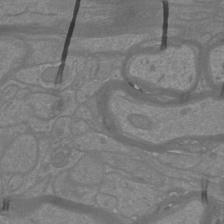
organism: Mouse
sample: Cortical neurons